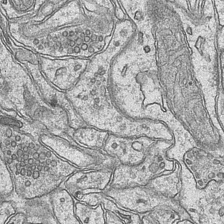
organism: Mouse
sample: CA1 Hippocampus